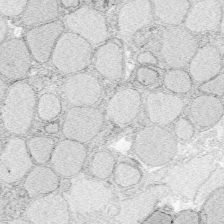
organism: Zebrafish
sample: Whole-Brain